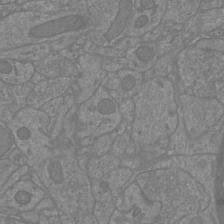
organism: Mouse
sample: Cortical neurons